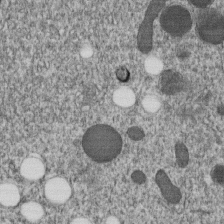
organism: C. elegans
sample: C. elegans embryo early stage